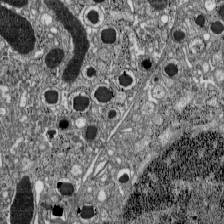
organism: C57BL Mouse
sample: Pancreatic islet